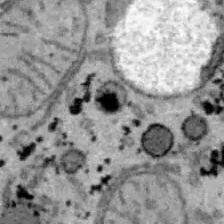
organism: Mouse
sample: Liver from an obese (ob/ob) mouse